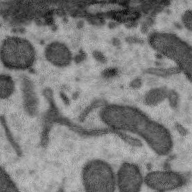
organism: Zebra finch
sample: Brain